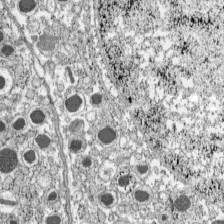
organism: C57BL Mouse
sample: Pancreatic islet